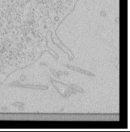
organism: Human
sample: Mitochondria in HCT116 cells